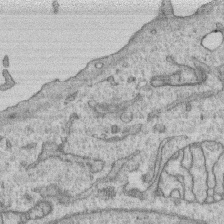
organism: Human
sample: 1205lu cells